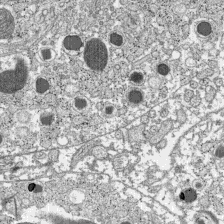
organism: C57BL Mouse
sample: Pancreatic islet